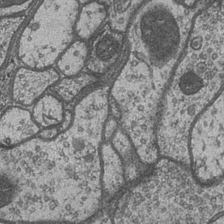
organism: Drosophila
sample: Optic medulla